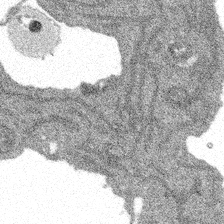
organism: Spongilla lacustris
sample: Multiple